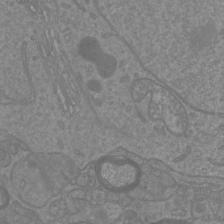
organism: Mouse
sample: Cortical neurons